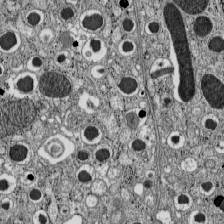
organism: C57BL Mouse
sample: Pancreatic islet